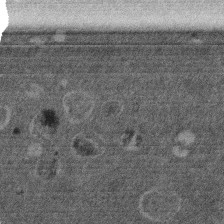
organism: Mouse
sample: Dividing mouse embryo 1 cell stage